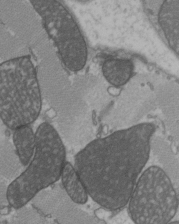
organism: C57BL Mouse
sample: Heart